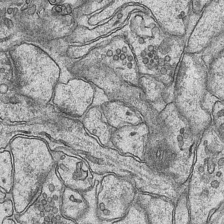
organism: Mouse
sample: CA1 Hippocampus